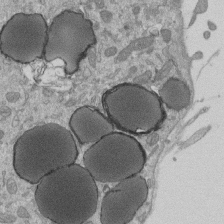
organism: Mouse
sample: ED-1 cell nuclei; centrioles